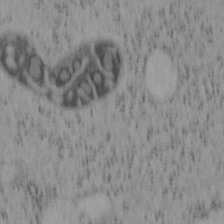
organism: Mouse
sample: OT-I killer T cells with ID8 ovarian cancer cells